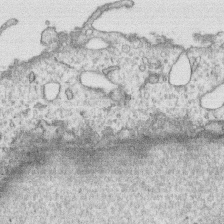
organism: Human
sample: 1205lu cells